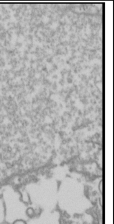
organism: Drosophila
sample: Cell division; meiosis; drosophila spermatocytes